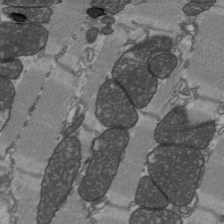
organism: C57BL Mouse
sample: Heart